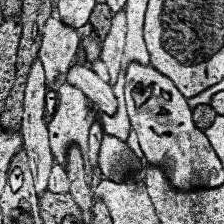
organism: Human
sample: Temporal Lobe